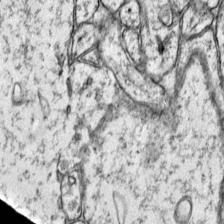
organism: Mouse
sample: Primary visual cortex